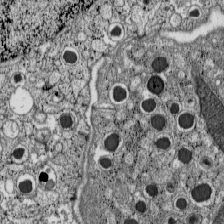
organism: C57BL Mouse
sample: Pancreatic islet